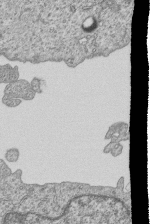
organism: Human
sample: MDA-MB-231 cells